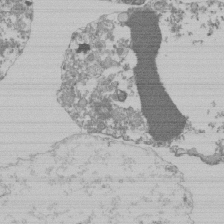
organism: Mouse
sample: Activated Pmel transgenic CD8+ T Cells